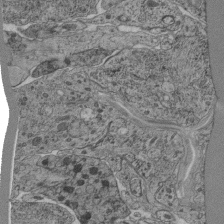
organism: C. elegans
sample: C. elegans pharynx